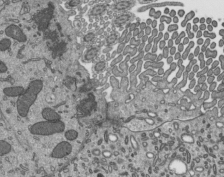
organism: Mouse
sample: Mouse epididymis efferent ductule cilia